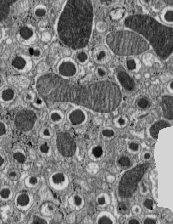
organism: C57BL Mouse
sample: Pancreatic islet